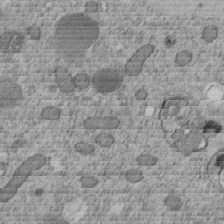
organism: C. elegans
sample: C. elegans embryo early stage